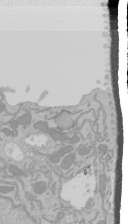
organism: Mouse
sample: Cancer cell death in ED-1 cells